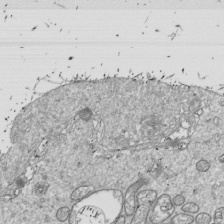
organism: Drosophila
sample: Cell division; meiosis; drosophila spermatocytes